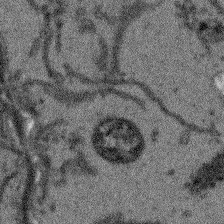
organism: Arabidopsis thaliana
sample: Root tip